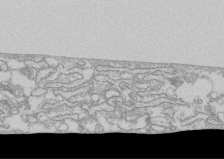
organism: Human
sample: CRL-1474